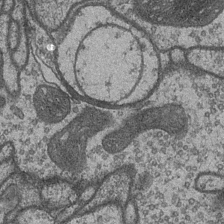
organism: Drosophila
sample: Optic medulla